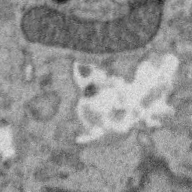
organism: Zebra finch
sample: Brain